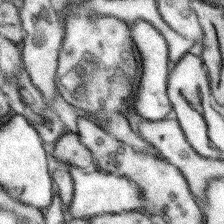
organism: Mouse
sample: Somatosensory cortex neuropil